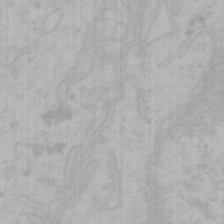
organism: Mouse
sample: Choroid plexus